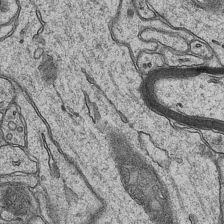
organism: Mouse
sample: CA1 Hippocampus